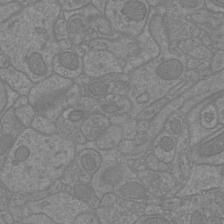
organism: Mouse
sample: Cortical neurons